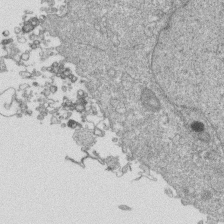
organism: Human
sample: HeLa cell HIV synapse